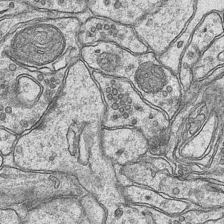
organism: Mouse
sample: CA1 Hippocampus